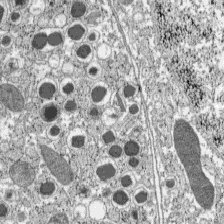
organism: C57BL Mouse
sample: Pancreatic islet